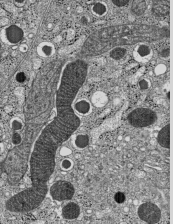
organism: C57BL Mouse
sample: Pancreatic islet